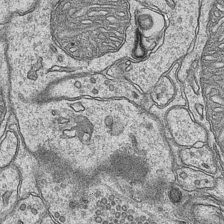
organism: Mouse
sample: CA1 Hippocampus